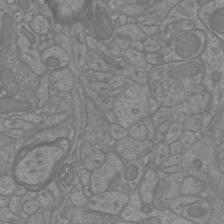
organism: Mouse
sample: Cortical neurons